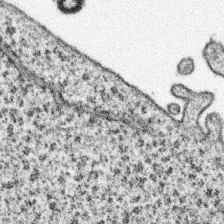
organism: Human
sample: HeLa cells